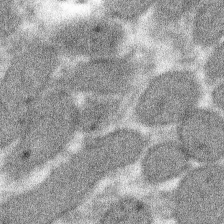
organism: Xenopus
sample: Cilia; centrioles in frog embryo cells